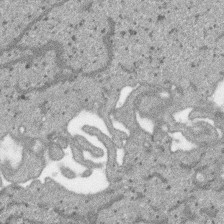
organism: Human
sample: Lung epithelial cells infected with SARS-CoV-2